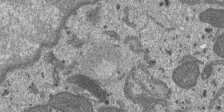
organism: Human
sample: Lung epithelial cells infected with SARS-CoV-2